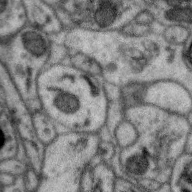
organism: Zebra finch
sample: Brain